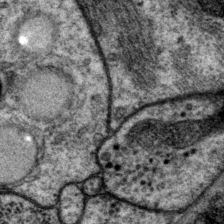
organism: P. pacificus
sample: Pharynx